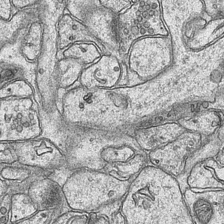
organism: Mouse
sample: CA1 Hippocampus